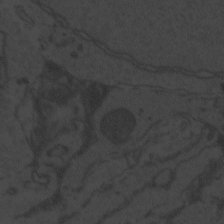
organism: Zebrafish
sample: Macrophage infected with Toxoplasma gondii